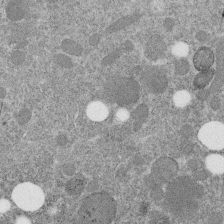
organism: C. elegans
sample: C. elegans embryo early stage